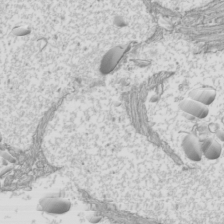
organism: Mouse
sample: Cilia; mouse epididymis